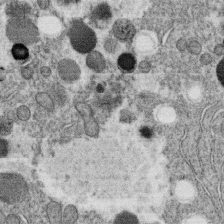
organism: C. elegans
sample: C. elegans oocyte; sperm cells